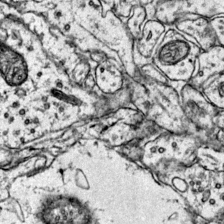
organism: Mouse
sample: Primary visual cortex